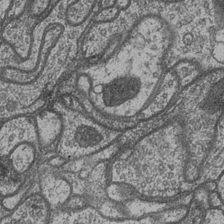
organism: Drosophila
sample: Optic medulla